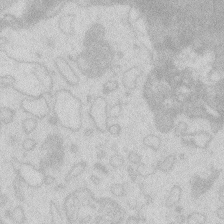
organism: Zebrafish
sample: Macrophage